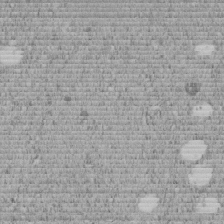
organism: C. elegans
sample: C. elegans embryo early stage